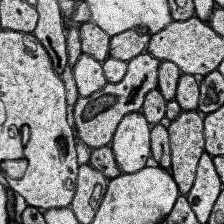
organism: Human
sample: Temporal Lobe